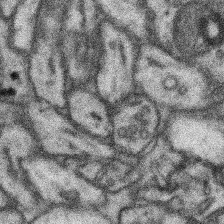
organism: Mouse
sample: Somatosensory cortex neuropil